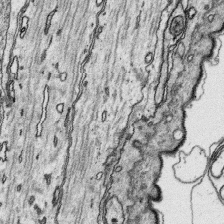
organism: Platynereis dumerilii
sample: Parapodia